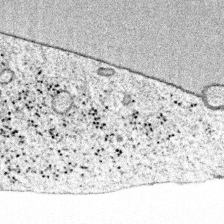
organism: Human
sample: HeLa cells